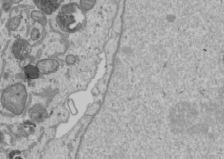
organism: Human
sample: Mitochondria in U2OS cells